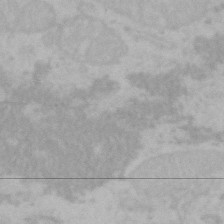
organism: Mouse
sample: Choroid plexus